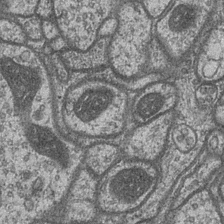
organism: Drosophila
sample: Optic medulla